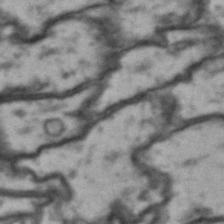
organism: Drosophila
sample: Brain